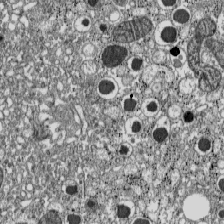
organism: C57BL Mouse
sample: Pancreatic islet